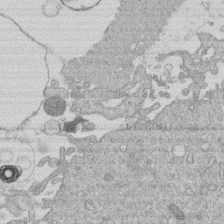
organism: Human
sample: Macrophage cells